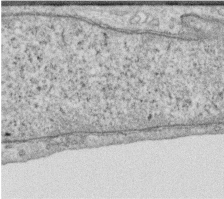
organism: Human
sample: Centriole in RPE cells